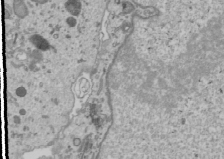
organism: Human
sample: Mitochondria in U2OS cells